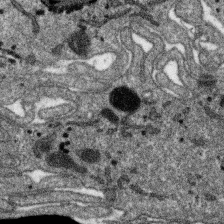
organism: Human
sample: Lung epithelial cells infected with SARS-CoV-2